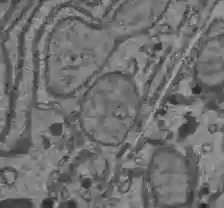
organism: C57BL Mouse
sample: Liver